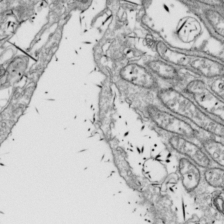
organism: Drosophila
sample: Cell division; meiosis; drosophila spermatocytes